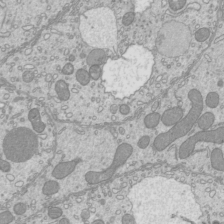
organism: Mouse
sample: Cilia; mouse epididymis